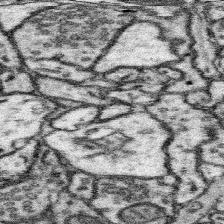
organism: Mouse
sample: Somatosensory cortex neuropil